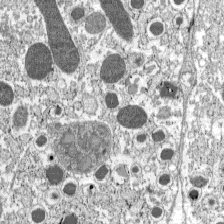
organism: C57BL Mouse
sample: Pancreatic islet